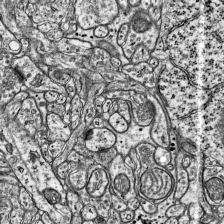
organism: Mouse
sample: Visual Cortex